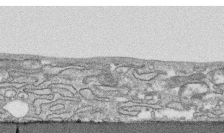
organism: Human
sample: CRL-1474